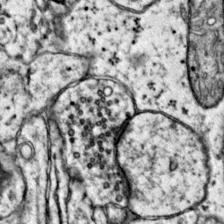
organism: Mouse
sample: Primary visual cortex